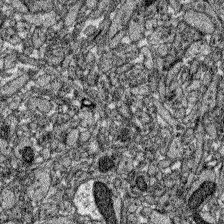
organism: Zebrafish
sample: Larval olfactory bulb